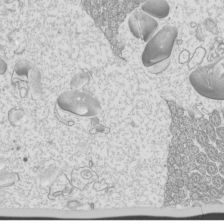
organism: Mouse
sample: Cilia; mouse epididymis